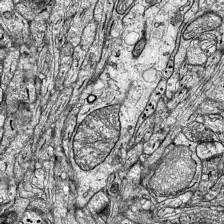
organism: Mouse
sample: Visual Cortex